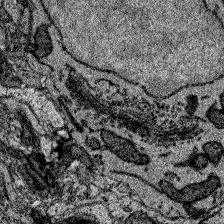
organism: Zebrafish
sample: Larval olfactory bulb